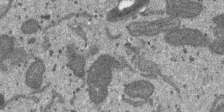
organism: Human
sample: Lung epithelial cells infected with SARS-CoV-2